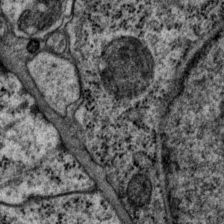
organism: P. pacificus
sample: Pharynx